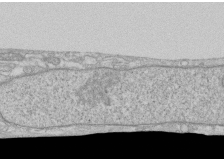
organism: Human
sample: CRL-1474